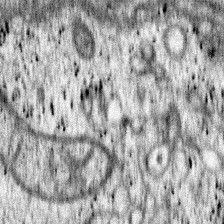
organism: Human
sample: HeLa cells